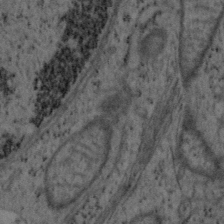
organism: Human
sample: HeLa cells